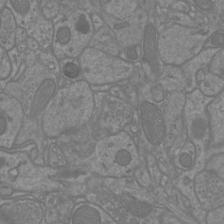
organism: Mouse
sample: Cortical neurons